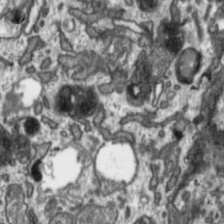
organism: Toxoplasma gondii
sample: Parasites in a vacuole inside a host cell